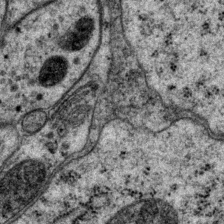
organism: P. pacificus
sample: Pharynx